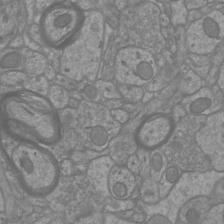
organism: Mouse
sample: Cortical neurons